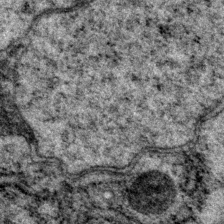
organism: P. pacificus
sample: Pharynx